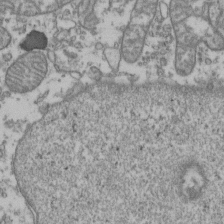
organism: Human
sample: Activated Jurkat CD4+ T cells